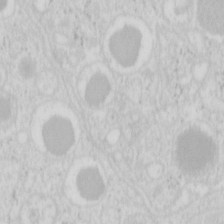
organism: Mouse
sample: Pancreas